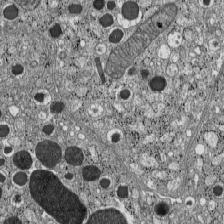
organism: C57BL Mouse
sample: Pancreatic islet